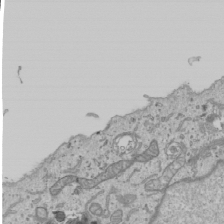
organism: Human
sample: Mitochondria in U2OS cells